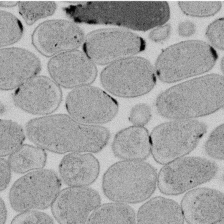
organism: E. coli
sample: Bacterial nucleoid